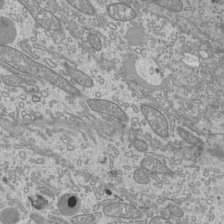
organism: Mouse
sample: Cilia; mouse epididymis